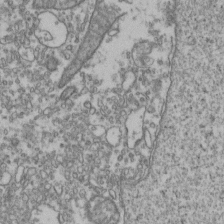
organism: Human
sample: Activated Jurkat CD4+ T cells